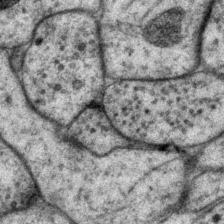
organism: P. pacificus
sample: Pharynx